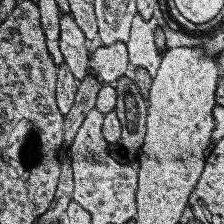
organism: Human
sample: Temporal Lobe